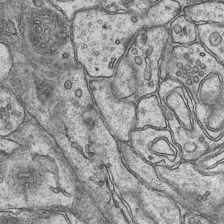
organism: Mouse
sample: CA1 Hippocampus